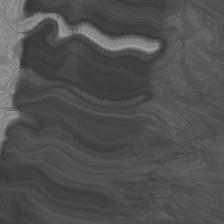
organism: Mouse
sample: Cortical neurons